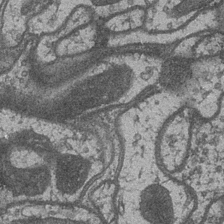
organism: Drosophila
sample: Optic medulla